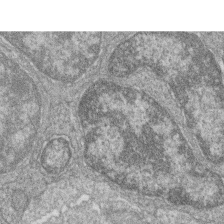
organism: Zebrafish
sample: Cilia; retinal pigment epithelium